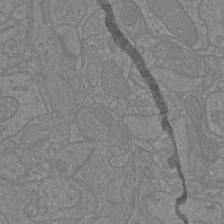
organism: Mouse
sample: Cortical neurons